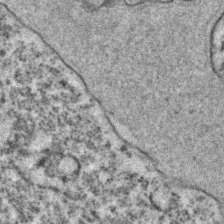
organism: C. elegans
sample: C. elegans embryo